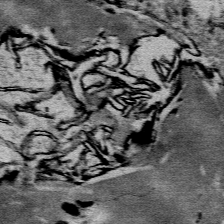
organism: Mouse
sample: Mouse Salivary gland